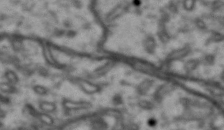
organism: Drosophila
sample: Brain